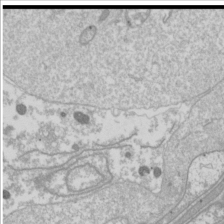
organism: Drosophila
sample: Cell division; meiosis; drosophila spermatocytes